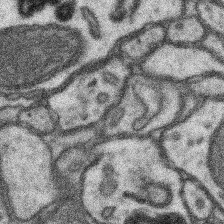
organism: Mouse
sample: Somatosensory cortex neuropil